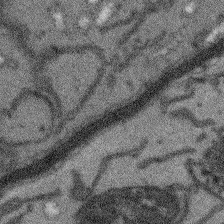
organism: Arabidopsis thaliana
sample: Root tip